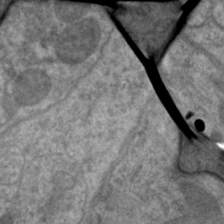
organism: C. elegans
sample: Pharynx